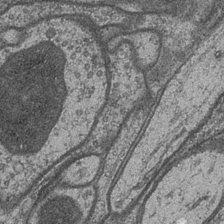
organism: Drosophila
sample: Optic medulla